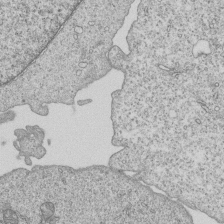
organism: Human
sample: MDA-MB-231 cells